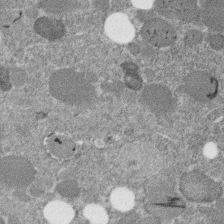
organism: C. elegans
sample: C. elegans embryo early stage